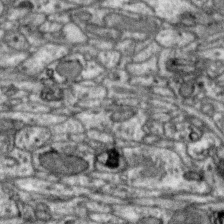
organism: Zebra finch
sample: Brain